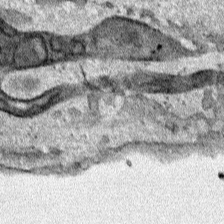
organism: Human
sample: Mitochondria in HCT116 cells